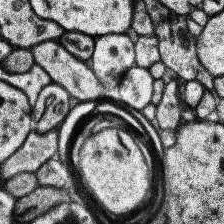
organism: Human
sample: Temporal Lobe